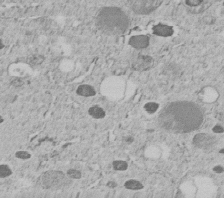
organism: C. elegans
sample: C. elegans embryo early stage